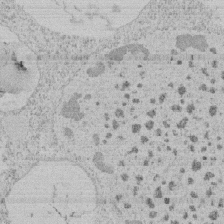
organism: Tetrahymena